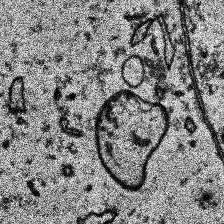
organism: Human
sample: Temporal Lobe